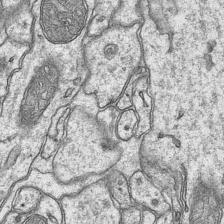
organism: Mouse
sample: CA1 Hippocampus